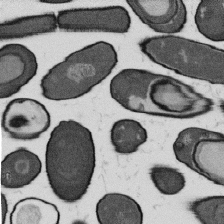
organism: B. subtilis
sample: Bacterial spore